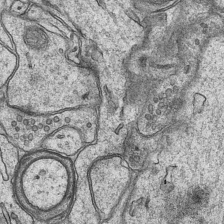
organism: Mouse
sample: CA1 Hippocampus